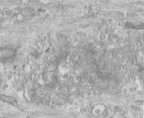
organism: Human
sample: Centriole in fibroblast cells